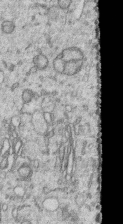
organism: Human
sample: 1205lu cells